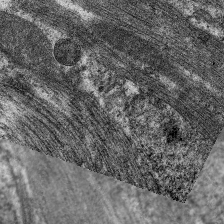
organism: C. elegans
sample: Pharynx